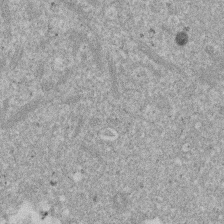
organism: Mouse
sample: Dividing mouse embryo 1 cell stage